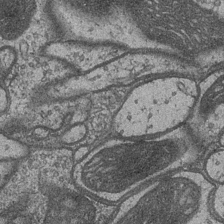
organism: Drosophila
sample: Optic medulla